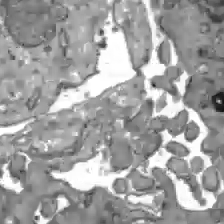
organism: C57BL Mouse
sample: Liver